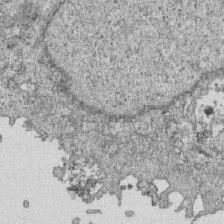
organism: Human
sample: HeLa cell HIV synapse